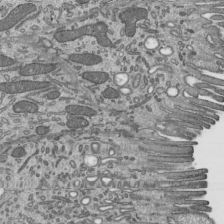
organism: Mouse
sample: Mouse epididymis efferent ductule cilia